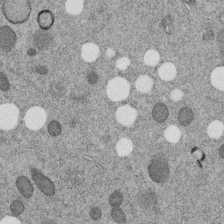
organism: C. elegans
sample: C. elegans embryo early stage